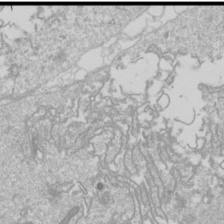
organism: Drosophila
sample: Cell division; meiosis; drosophila spermatocytes